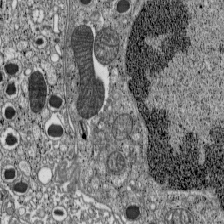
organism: C57BL Mouse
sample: Pancreatic islet